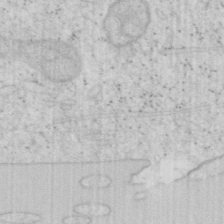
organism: Human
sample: HeLa cells